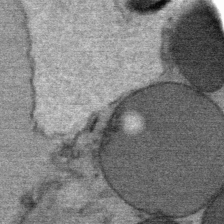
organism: Mouse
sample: Mouse Salivary gland